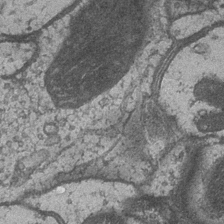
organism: Drosophila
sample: Optic medulla